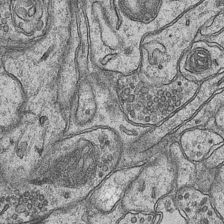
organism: Mouse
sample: CA1 Hippocampus